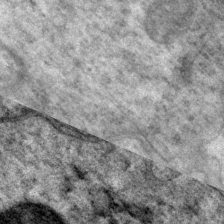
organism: P. pacificus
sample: Pharynx